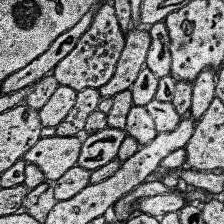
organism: Human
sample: Temporal Lobe